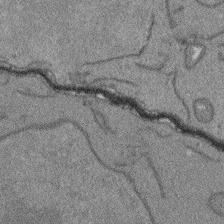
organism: Arabidopsis thaliana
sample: Root tip